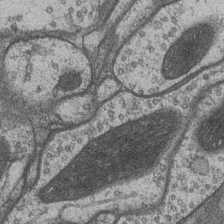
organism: Drosophila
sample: Optic medulla